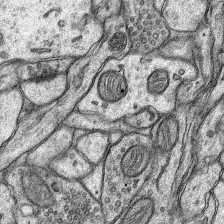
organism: Rat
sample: Hippocampus